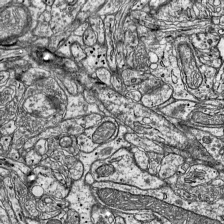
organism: Mouse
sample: Visual Cortex